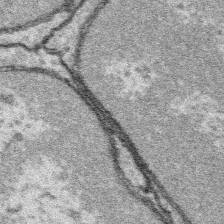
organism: Platynereis dumerilii